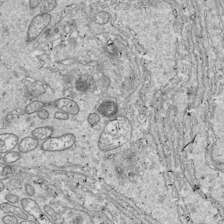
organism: Drosophila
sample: Cell division; meiosis; drosophila spermatocytes